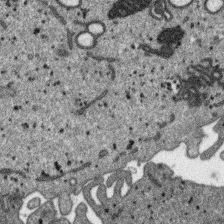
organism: Human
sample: Lung epithelial cells infected with SARS-CoV-2